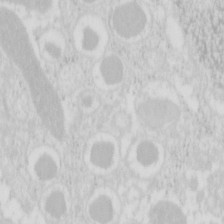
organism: Mouse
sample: Pancreas